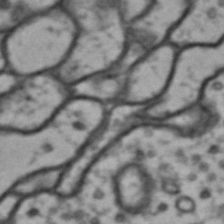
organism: Drosophila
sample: Brain